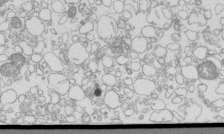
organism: Mouse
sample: Macrophages